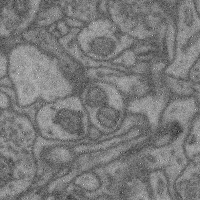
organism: Mouse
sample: Cerebral cortex